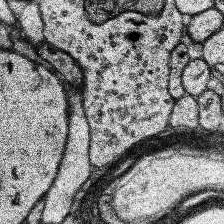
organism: Human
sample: Temporal Lobe